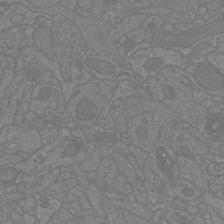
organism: Mouse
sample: Cortical neurons